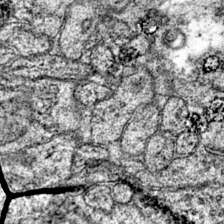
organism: Mouse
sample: Primary visual cortex